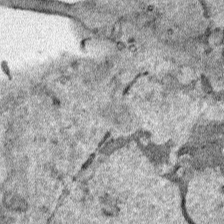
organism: Human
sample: Mitochondria in HCT116 cells